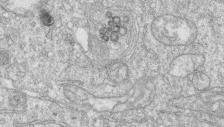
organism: Human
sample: HeLa cell HIV synapse